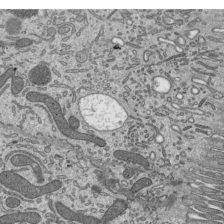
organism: Mouse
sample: Mouse epididymis efferent ductule cilia